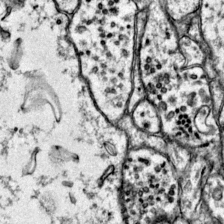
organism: Mouse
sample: Primary visual cortex